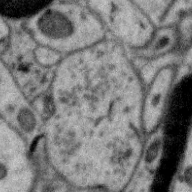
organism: Zebra finch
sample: Brain